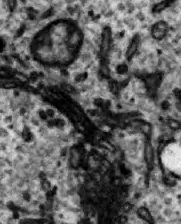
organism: Human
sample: HeLa cells